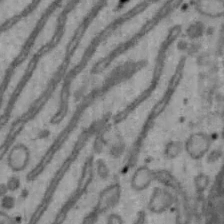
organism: Mouse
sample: Liver